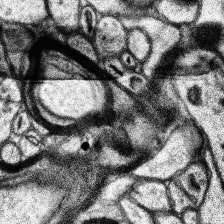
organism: Human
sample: Temporal Lobe